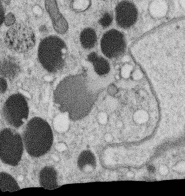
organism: C. elegans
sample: C. elegans oocyte; sperm cells